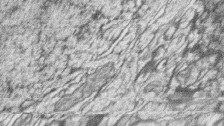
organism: Zebrafish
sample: synaptic ribbons in rod cells and cone cells